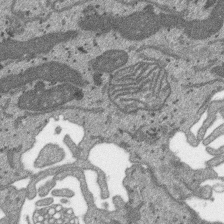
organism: Human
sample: Lung epithelial cells infected with SARS-CoV-2